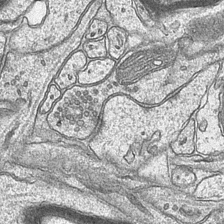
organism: Mouse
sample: CA1 Hippocampus